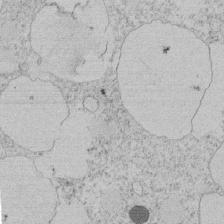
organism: Tetrahymena